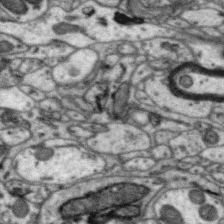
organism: Zebra finch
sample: Brain